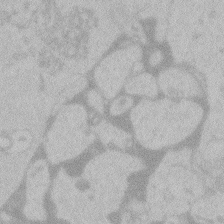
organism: Zebrafish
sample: Macrophage infected with Toxoplasma gondii